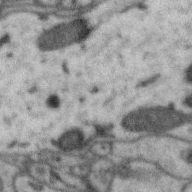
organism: Zebra finch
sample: Brain